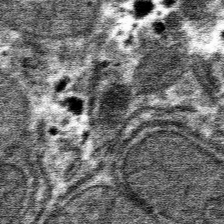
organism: Mouse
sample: Mouse hepatocytes